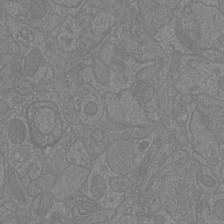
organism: Mouse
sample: Cortical neurons